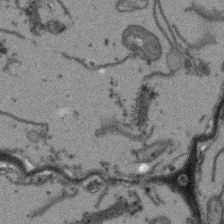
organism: Arabidopsis thaliana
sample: Root tip